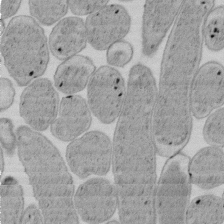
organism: E. coli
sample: Bacterial nucleoid